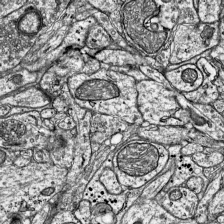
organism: Mouse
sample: Visual Cortex